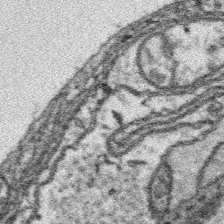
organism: Platynereis dumerilii